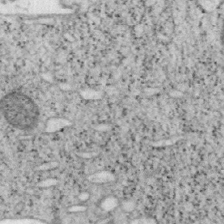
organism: Mouse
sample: OT-I killer T cells with ID8 ovarian cancer cells